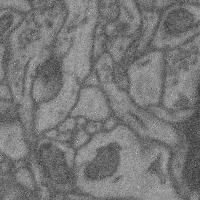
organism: Mouse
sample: Cerebral cortex